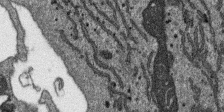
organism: Human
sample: Lung epithelial cells infected with SARS-CoV-2